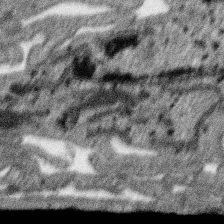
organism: Human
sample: Lung epithelial cells infected with SARS-CoV-2